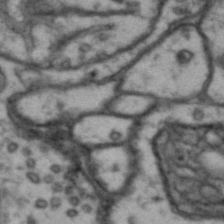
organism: Drosophila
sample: Brain